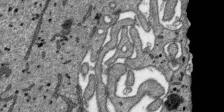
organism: Human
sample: Lung epithelial cells, uninfected (mock) control